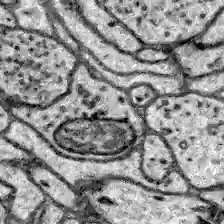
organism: Zebrafish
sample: Brain